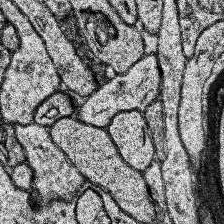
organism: Human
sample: Temporal Lobe